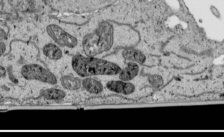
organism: Human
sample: Mitochondria in HCT116 cells